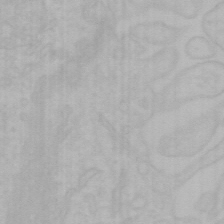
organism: Mouse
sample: Choroid plexus